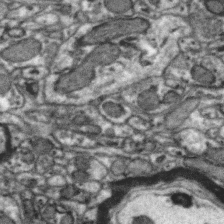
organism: Zebra finch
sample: Brain